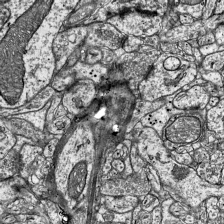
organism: Mouse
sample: Visual Cortex